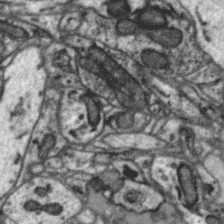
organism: Zebra finch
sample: Brain